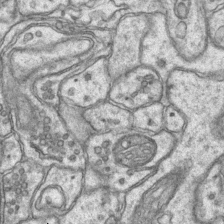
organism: Mouse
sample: CA1 Hippocampus